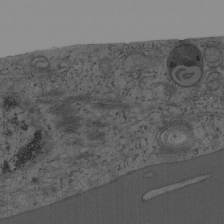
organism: Human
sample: HeLa cells